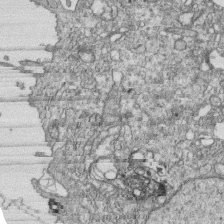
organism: Human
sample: HeLa cell HIV synapse